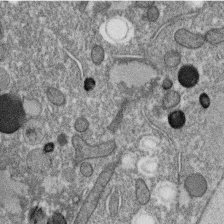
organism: C. elegans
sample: C. elegans oocyte; sperm cells